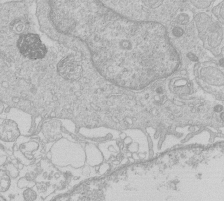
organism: Human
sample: Macrophage cells